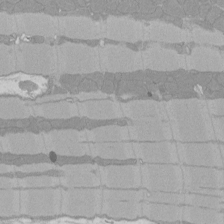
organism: Rat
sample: Left ventricle